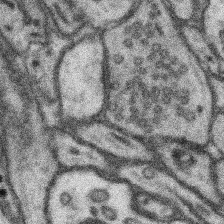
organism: Mouse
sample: Somatosensory cortex neuropil